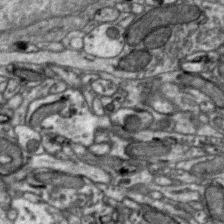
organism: Zebra finch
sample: Brain